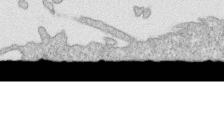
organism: Human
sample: HeLa cell HIV synapse